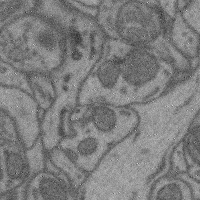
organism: Mouse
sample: Cerebral cortex